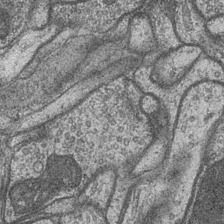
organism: Drosophila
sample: Optic medulla